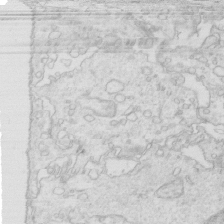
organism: Mouse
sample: Multiciliated cells